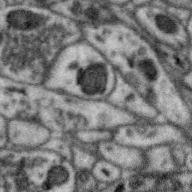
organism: Zebra finch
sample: Brain